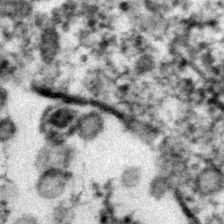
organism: C. elegans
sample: C. elegans embryo